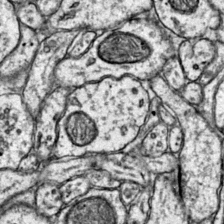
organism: Mouse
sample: Primary visual cortex